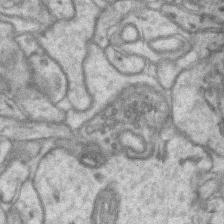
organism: Mouse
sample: CA1 Hippocampus